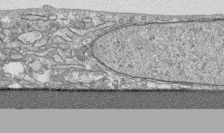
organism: Human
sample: CRL-1474